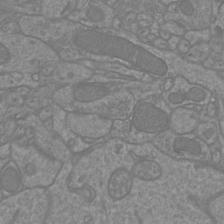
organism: Mouse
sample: Cortical neurons